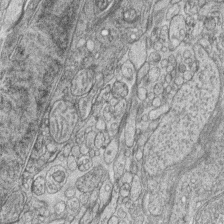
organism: Zebrafish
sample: synaptic ribbons in rod cells and cone cells